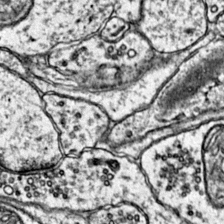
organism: Mouse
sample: Primary visual cortex